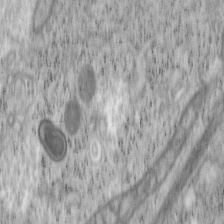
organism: Human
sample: HeLa cells